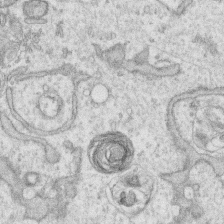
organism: Human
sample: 1205lu cells